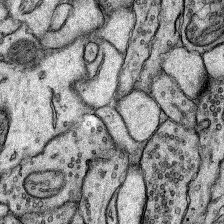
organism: Rat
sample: Hippocampus